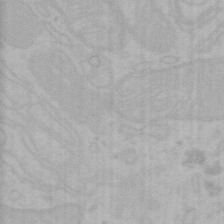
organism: Mouse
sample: Choroid plexus